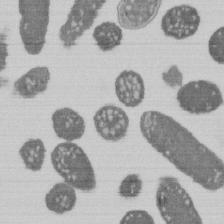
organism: E. coli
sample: Bacterial nucleoid